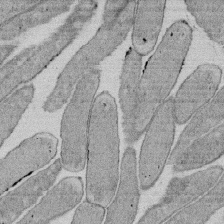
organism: E. coli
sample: Bacterial nucleoid